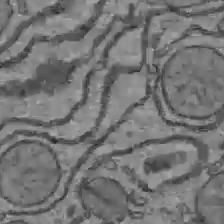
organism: C57BL Mouse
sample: Liver